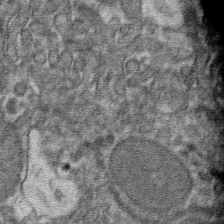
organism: Mouse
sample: Mouse hepatocytes